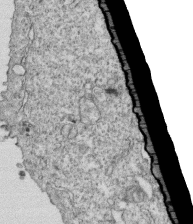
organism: Human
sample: HeLa cell HIV synapse